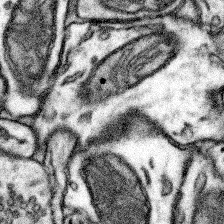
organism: Mouse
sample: Somatosensory cortex neuropil